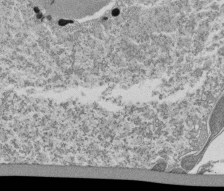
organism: Tetrahymena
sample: Cilia in tetrahymena